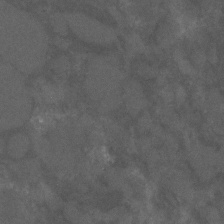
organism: C. elegans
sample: C. elegans embryo